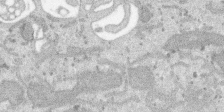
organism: Human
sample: Lung epithelial cells infected with SARS-CoV-2